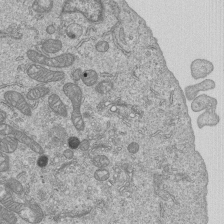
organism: Human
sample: MDA-MB-231 cells